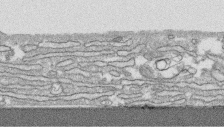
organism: Human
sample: CRL-1474